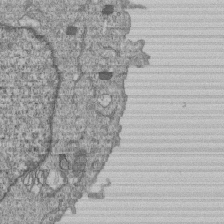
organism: Human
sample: MDA-MB-231 cells